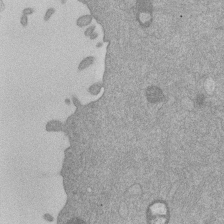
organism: Mouse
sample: Dividing mouse embryo 1 cell stage